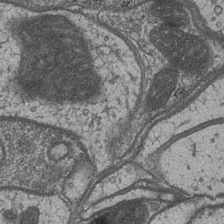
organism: Drosophila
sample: Optic medulla